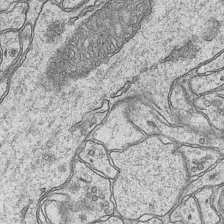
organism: Mouse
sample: CA1 Hippocampus